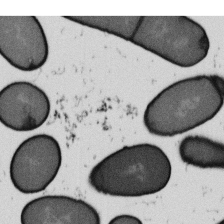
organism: B. subtilis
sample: Bacterial spore